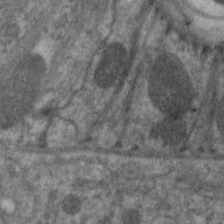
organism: C. elegans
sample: Pharynx